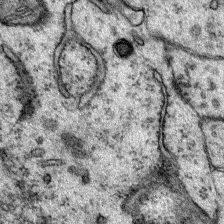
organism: Mouse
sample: Primary visual cortex